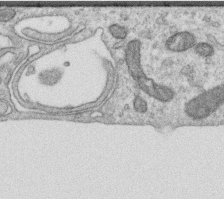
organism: Human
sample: Centriole in RPE cells